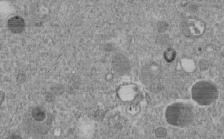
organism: C. elegans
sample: C. elegans embryo early stage